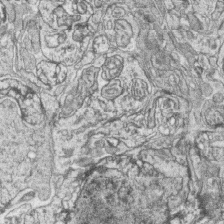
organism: Zebrafish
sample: synaptic ribbons in rod cells and cone cells